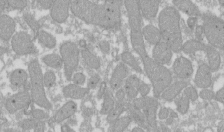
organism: Xenopus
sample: Cilia; centrioles in frog embryo cells